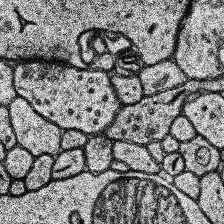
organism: Human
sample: Temporal Lobe